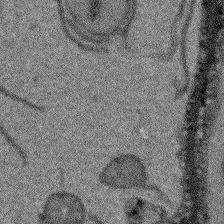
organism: Arabidopsis thaliana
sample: Root tip